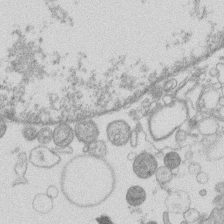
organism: Human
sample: Macrophage cells